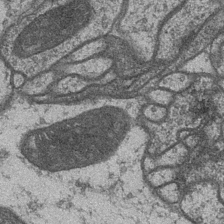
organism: Drosophila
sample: Optic medulla